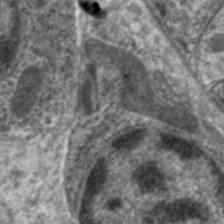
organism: C. elegans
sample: Pharynx